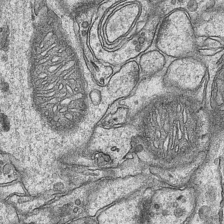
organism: Mouse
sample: CA1 Hippocampus